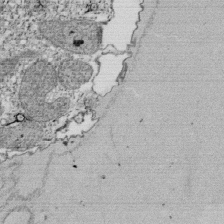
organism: Tetrahymena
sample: Cilia in tetrahymena